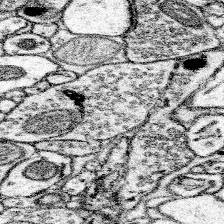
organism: Mouse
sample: Somatosensory cortex neuropil